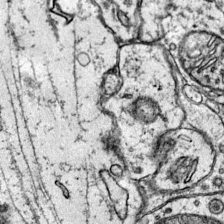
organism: Mouse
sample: Primary visual cortex